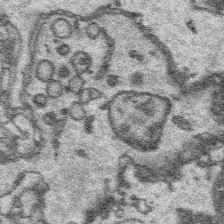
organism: Platynereis dumerilii